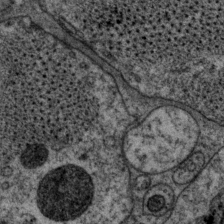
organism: P. pacificus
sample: Pharynx